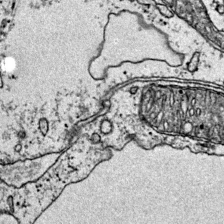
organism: Mouse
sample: Primary visual cortex